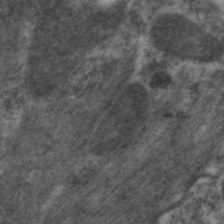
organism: C. elegans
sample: Pharynx